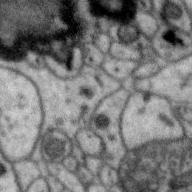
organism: Zebra finch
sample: Brain